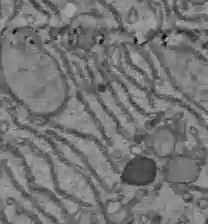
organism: C57BL Mouse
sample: Liver